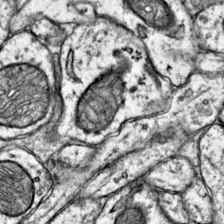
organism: Mouse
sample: Primary visual cortex